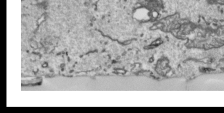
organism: Human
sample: Mitochondria in HCT116 cells